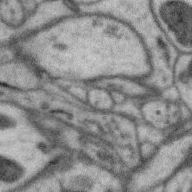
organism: Zebra finch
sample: Brain